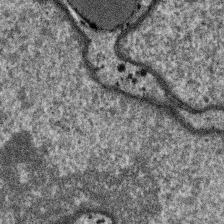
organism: Human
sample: Lung epithelial cells infected with SARS-CoV-2